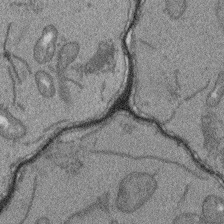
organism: Arabidopsis thaliana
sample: Root tip